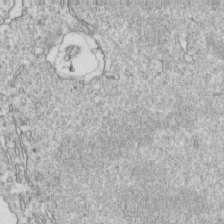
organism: Mouse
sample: Activated OT-1 CD8+ T cells